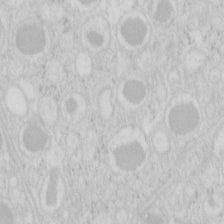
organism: Mouse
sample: Pancreas